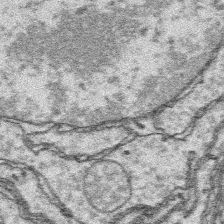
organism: Platynereis dumerilii